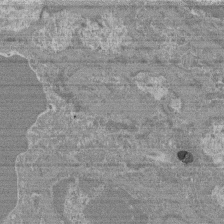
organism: Mouse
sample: Glomerulus